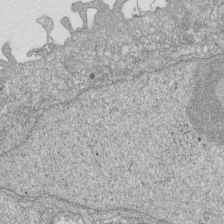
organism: Human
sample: HeLa cell HIV synapse